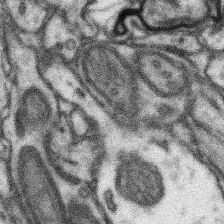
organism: Mouse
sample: Somatosensory cortex neuropil